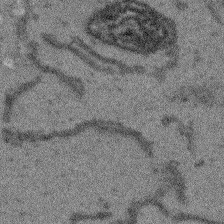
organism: Arabidopsis thaliana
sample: Root tip